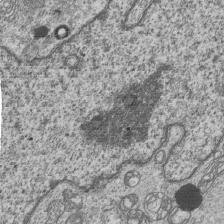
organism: Human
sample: MDA-MB-231 cells